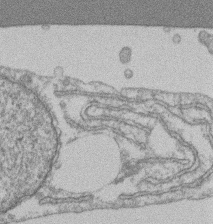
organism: Mouse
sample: T cell stromal cell synapse